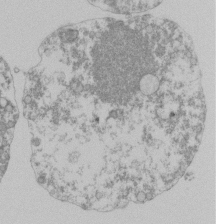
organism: Mouse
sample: Activated Pmel transgenic CD8+ T Cells